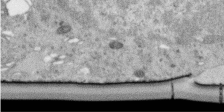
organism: Human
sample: Centriole in RPE cells